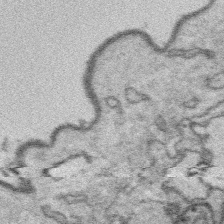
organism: Platynereis dumerilii